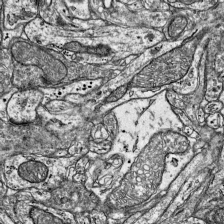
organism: Mouse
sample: Visual Cortex